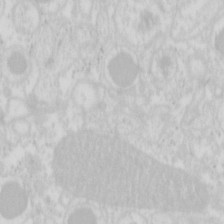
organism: Mouse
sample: Pancreas